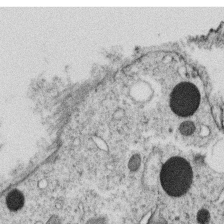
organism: C. elegans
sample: C. elegans oocyte; sperm cells